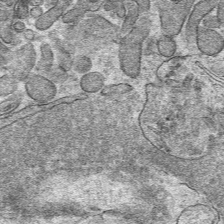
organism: Mouse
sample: Mouse hepatocytes